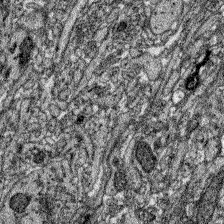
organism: Zebrafish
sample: Larval olfactory bulb